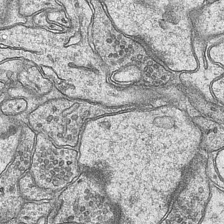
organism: Mouse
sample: CA1 Hippocampus